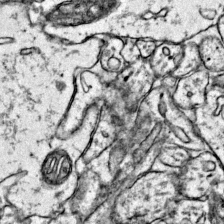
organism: Mouse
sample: Primary visual cortex